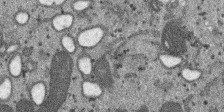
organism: Human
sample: Lung epithelial cells infected with SARS-CoV-2